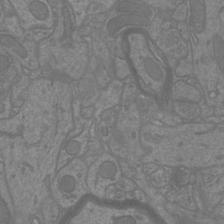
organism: Mouse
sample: Cortical neurons